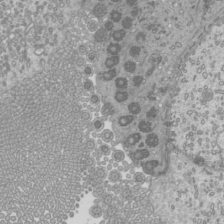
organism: Mouse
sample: Cilia; mouse epididymis